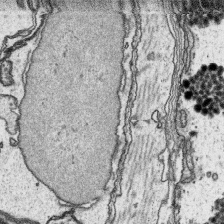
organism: Platynereis dumerilii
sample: Parapodia